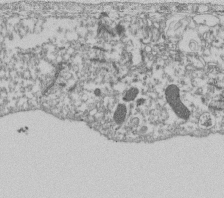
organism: Dictyostelium discoideum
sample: Dictyostelium multivesicular bodies